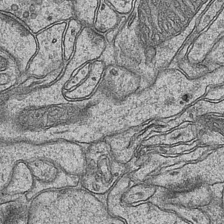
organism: Mouse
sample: CA1 Hippocampus